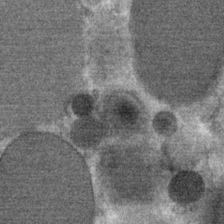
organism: Mouse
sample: Mouse Salivary gland